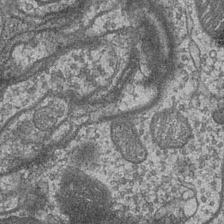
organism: Drosophila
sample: Optic medulla